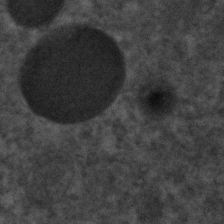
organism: C. elegans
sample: C. elegans embryo